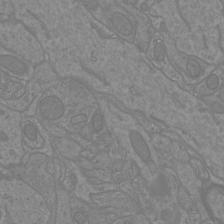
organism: Mouse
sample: Cortical neurons